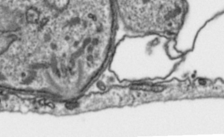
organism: Toxoplasma gondii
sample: Parasites in a vacuole inside a host cell